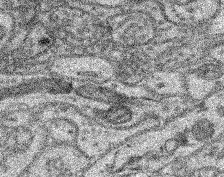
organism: Mouse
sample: Retina